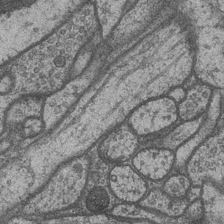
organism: Drosophila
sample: Optic medulla